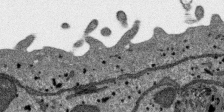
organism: Human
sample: Lung epithelial cells, uninfected (mock) control